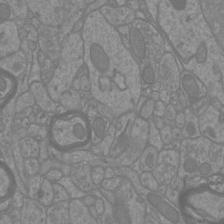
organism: Mouse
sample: Cortical neurons